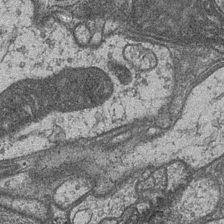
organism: Drosophila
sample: Optic medulla